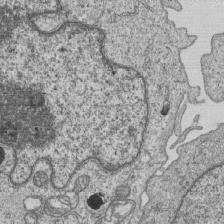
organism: Human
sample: MDA-MB-231 cells